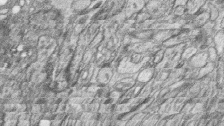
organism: Zebrafish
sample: synaptic ribbons in rod cells and cone cells